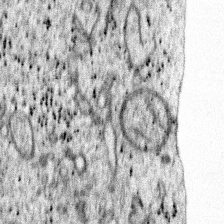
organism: Human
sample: HeLa cells